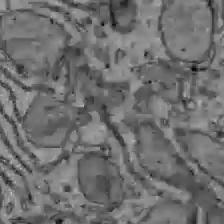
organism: C57BL Mouse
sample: Liver